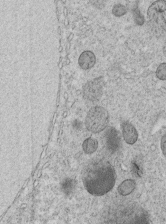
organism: C. elegans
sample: C. elegans embryo early stage